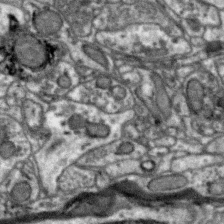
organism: Zebra finch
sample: Brain